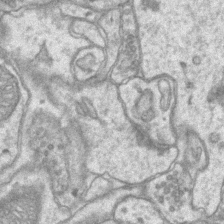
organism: Mouse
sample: CA1 Hippocampus